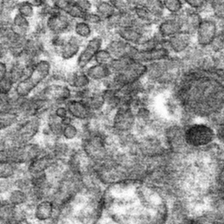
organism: Mouse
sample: Mouse hepatocytes